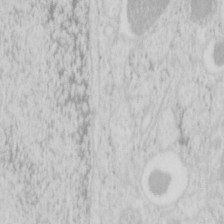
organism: Mouse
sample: Pancreas